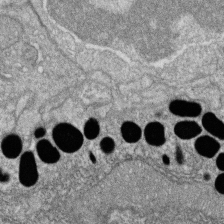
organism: Zebrafish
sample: Cilia; retinal pigment epithelium